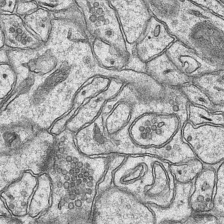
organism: Mouse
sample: CA1 Hippocampus